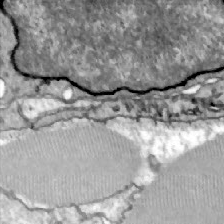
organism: Zebrafish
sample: Actinotrichia fibers